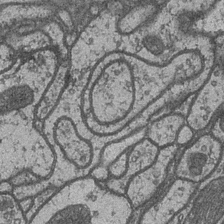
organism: Drosophila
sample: Optic medulla